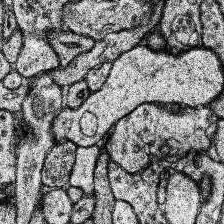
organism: Human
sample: Temporal Lobe